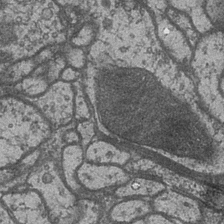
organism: Drosophila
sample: Optic medulla